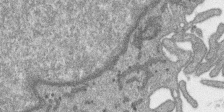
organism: Human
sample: Lung epithelial cells infected with SARS-CoV-2